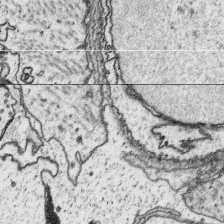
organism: Platynereis dumerilii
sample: Parapodia